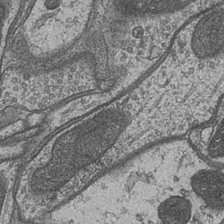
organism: Drosophila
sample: Optic medulla